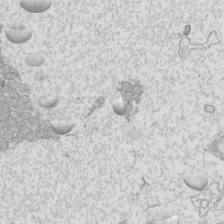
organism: Mouse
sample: Cilia; mouse epididymis